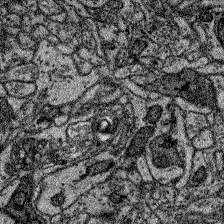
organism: Zebrafish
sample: Larval olfactory bulb